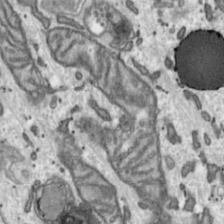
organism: Toxoplasma gondii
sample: Parasites in a vacuole inside a host cell